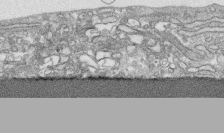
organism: Human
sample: CRL-1474